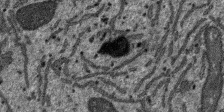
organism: Human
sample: Lung epithelial cells infected with SARS-CoV-2